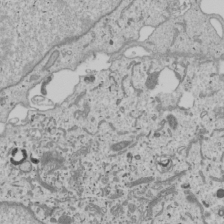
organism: Human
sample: Mitochondria in U2OS cells